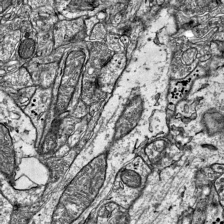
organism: Mouse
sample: Visual Cortex